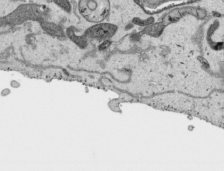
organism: Human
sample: Mitochondria in HCT116 cells